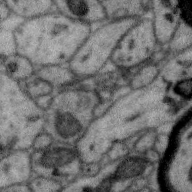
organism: Zebra finch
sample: Brain